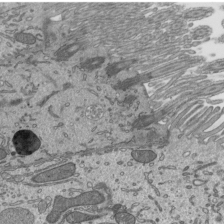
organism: Mouse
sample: Mouse epididymis efferent ductule cilia